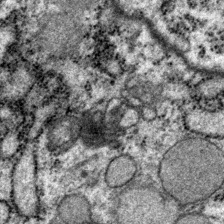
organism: P. pacificus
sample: Pharynx